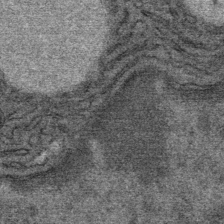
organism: Mouse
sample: Mouse Salivary gland